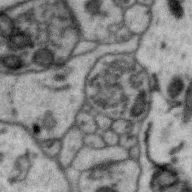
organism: Zebra finch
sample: Brain